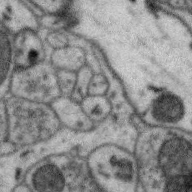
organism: Zebra finch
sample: Brain